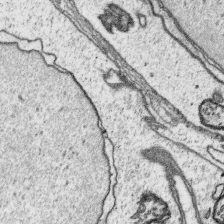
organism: Platynereis dumerilii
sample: Parapodia